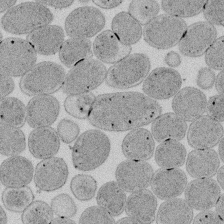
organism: E. coli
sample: Bacterial nucleoid